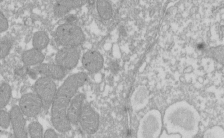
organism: Xenopus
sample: Cilia; centrioles in frog embryo cells